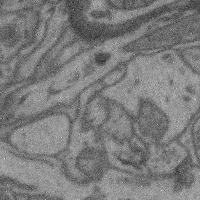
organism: Mouse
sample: Cerebral cortex